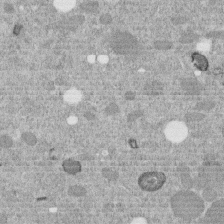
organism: C. elegans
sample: C. elegans embryo early stage